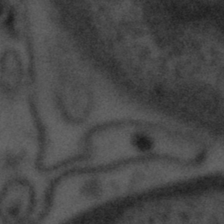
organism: Tuwongella immobilis